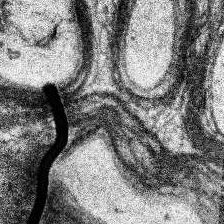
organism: Human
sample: Temporal Lobe